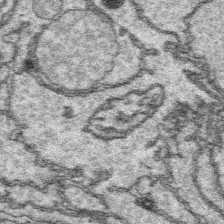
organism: Platynereis dumerilii